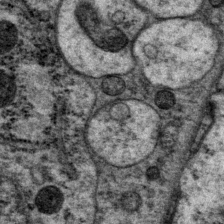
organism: P. pacificus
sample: Pharynx